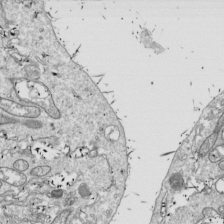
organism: Drosophila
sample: Cell division; meiosis; drosophila spermatocytes